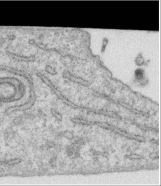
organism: Human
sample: Centriole in RPE cells